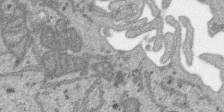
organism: Human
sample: Lung epithelial cells infected with SARS-CoV-2